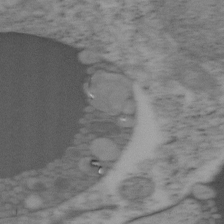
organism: Mouse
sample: OT-I killer T cells with ID8 ovarian cancer cells